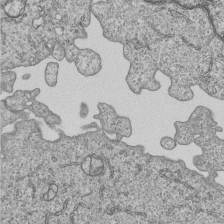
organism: Human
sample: MDA-MB-231 cells